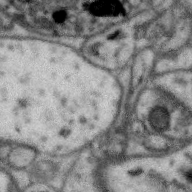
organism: Zebra finch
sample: Brain